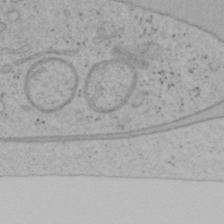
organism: Human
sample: HeLa cells